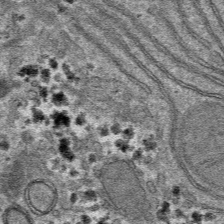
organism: Mouse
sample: Mouse hepatocytes